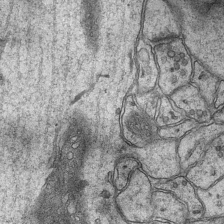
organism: Mouse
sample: CA1 Hippocampus